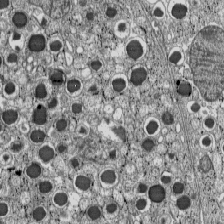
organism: C57BL Mouse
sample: Pancreatic islet